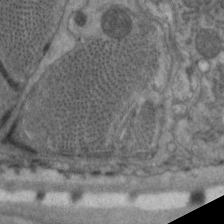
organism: C. elegans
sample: Pharynx